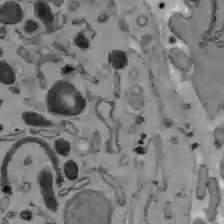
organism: C57BL Mouse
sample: Liver